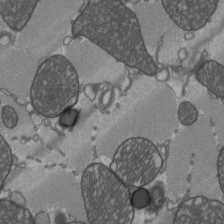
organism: C57BL Mouse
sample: Heart